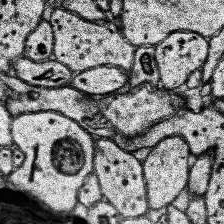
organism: Human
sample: Temporal Lobe